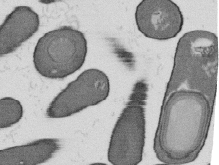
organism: B. subtilis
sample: Bacterial spore